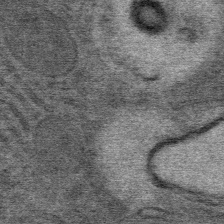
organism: Mouse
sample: Mouse Salivary gland